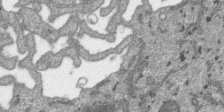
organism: Human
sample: Lung epithelial cells infected with SARS-CoV-2